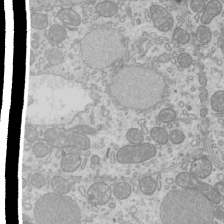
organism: Mouse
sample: Cilia; mouse epididymis